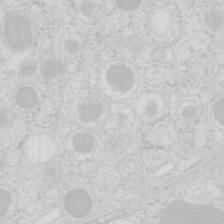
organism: Mouse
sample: Pancreas